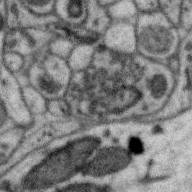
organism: Zebra finch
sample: Brain